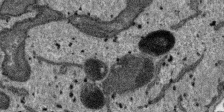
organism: Human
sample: Lung epithelial cells, uninfected (mock) control